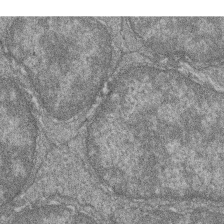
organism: Zebrafish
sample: Cilia; retinal pigment epithelium